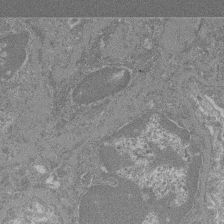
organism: Mouse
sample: Glomerulus